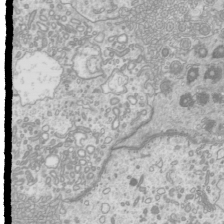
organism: Mouse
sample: Cilia; mouse epididymis